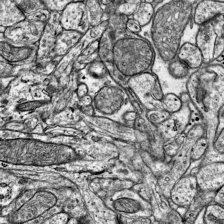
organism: Mouse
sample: Visual Cortex